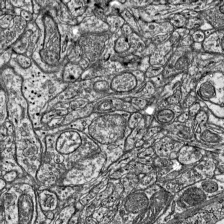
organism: Mouse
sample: Visual Cortex